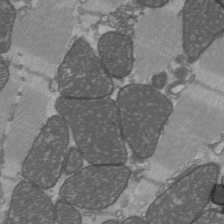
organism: C57BL Mouse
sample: Heart